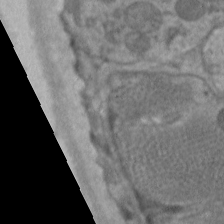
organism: C. elegans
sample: Pharynx